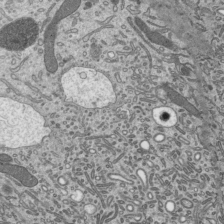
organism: Mouse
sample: Mouse epididymis efferent ductule cilia